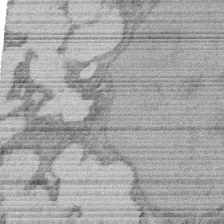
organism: Rat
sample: Salivary granule